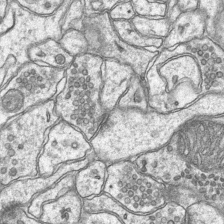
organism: Mouse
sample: CA1 Hippocampus